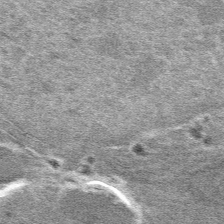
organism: Mouse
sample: Mouse hepatocytes